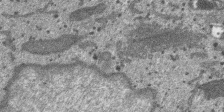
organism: Human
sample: Lung epithelial cells infected with SARS-CoV-2